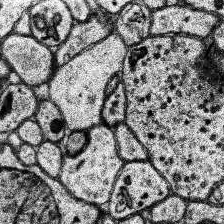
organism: Human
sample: Temporal Lobe